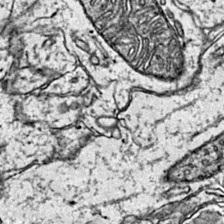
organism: Mouse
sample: Primary visual cortex